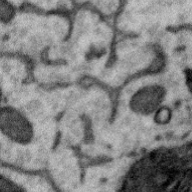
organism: Zebra finch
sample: Brain